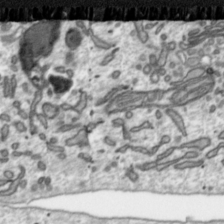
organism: Toxoplasma gondii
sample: Parasites in a vacuole inside a host cell